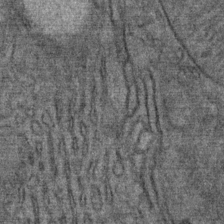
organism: Mouse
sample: Mouse Salivary gland